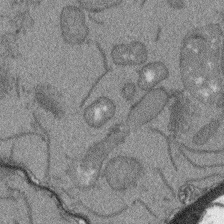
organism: Arabidopsis thaliana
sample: Root tip